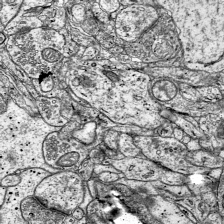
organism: Mouse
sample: Visual Cortex